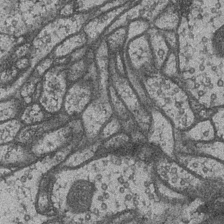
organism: Drosophila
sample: Optic medulla